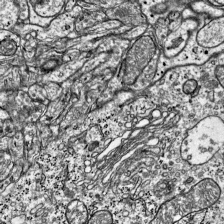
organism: Mouse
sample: Visual Cortex